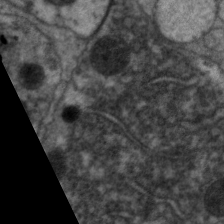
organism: C. elegans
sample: Pharynx